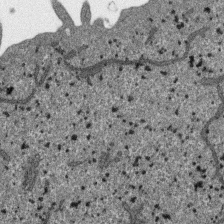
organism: Human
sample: Lung epithelial cells infected with SARS-CoV-2